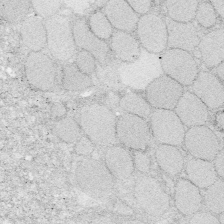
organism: Zebrafish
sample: Whole-Brain